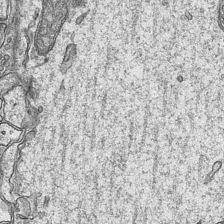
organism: Mouse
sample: CA1 Hippocampus